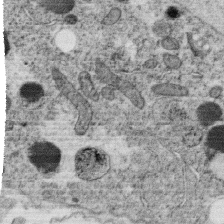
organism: C. elegans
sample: C. elegans oocyte; sperm cells